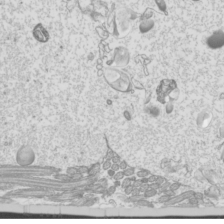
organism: Mouse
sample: Cilia; mouse epididymis